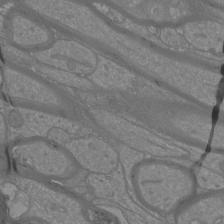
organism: Mouse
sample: Cortical neurons